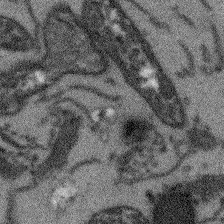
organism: Arabidopsis thaliana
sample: Root tip